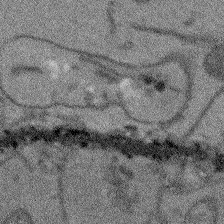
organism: Arabidopsis thaliana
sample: Root tip